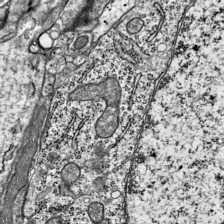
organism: Mouse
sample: Visual Cortex